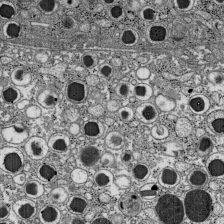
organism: C57BL Mouse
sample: Pancreatic islet